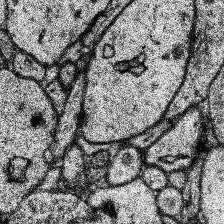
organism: Human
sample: Temporal Lobe